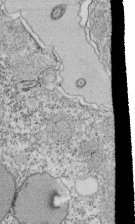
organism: Tetrahymena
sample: Cilia in tetrahymena